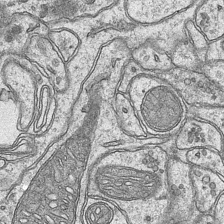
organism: Mouse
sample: CA1 Hippocampus